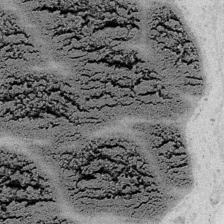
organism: Embia sp.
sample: Silk gland